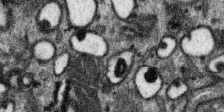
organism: Human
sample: Lung epithelial cells infected with SARS-CoV-2